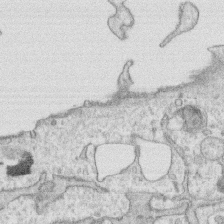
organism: Human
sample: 1205lu cells